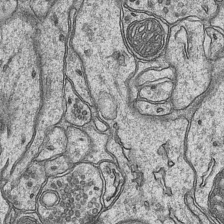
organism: Mouse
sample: CA1 Hippocampus